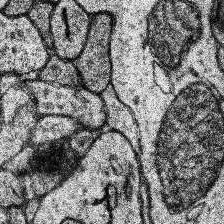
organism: Human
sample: Temporal Lobe